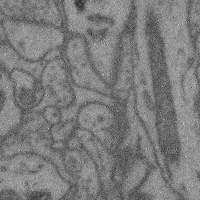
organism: Mouse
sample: Cerebral cortex